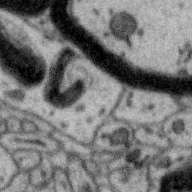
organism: Zebra finch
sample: Brain